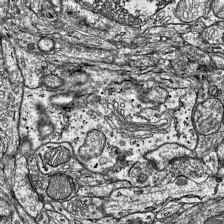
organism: Mouse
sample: Visual Cortex